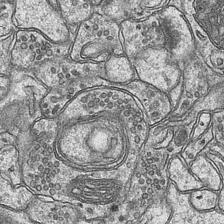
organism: Mouse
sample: CA1 Hippocampus